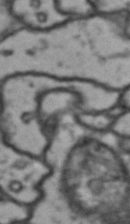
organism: Drosophila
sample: Brain